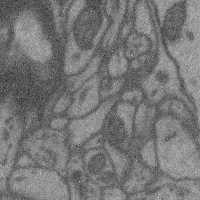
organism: Mouse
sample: Cerebral cortex